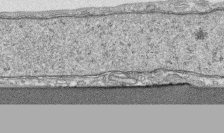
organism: Human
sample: CRL-1474